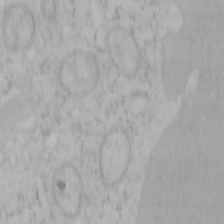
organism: Mouse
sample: OT-I killer T cells with ID8 ovarian cancer cells